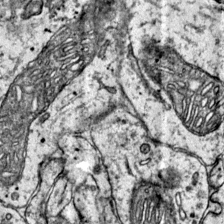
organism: Mouse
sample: Primary visual cortex